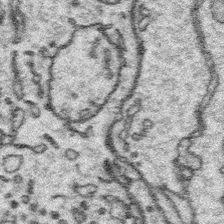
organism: Platynereis dumerilii